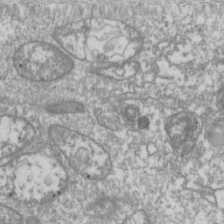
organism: Drosophila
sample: Cell division; meiosis; drosophila spermatocytes